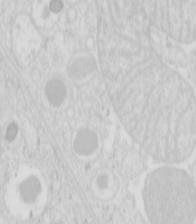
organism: Mouse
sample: Pancreas